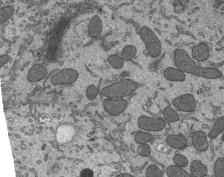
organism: Mouse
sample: Mouse epididymis efferent ductule cilia